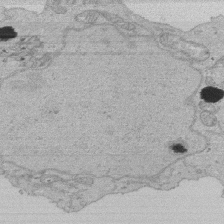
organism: Human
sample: Activated Jurkat CD4+ T cells